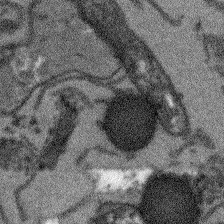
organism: Arabidopsis thaliana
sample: Root tip